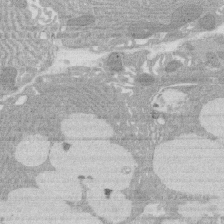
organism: Rat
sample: Salivary granule